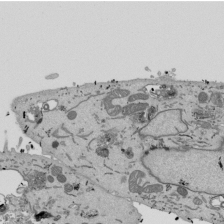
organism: Mouse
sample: ED-1 cell nuclei; centrioles